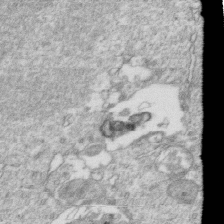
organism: Mouse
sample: Activated OT-1 CD8+ T cells